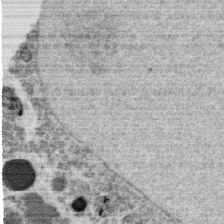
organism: C. elegans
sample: C. elegans oocyte; sperm cells